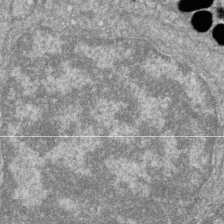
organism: Zebrafish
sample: Cilia; retinal pigment epithelium